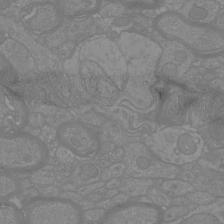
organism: Mouse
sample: Cortical neurons